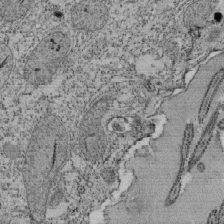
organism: Tetrahymena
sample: Cilia in tetrahymena